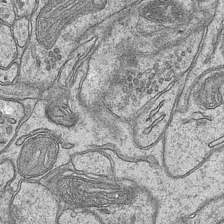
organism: Mouse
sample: CA1 Hippocampus